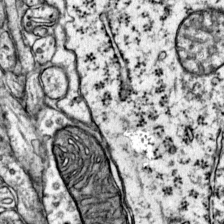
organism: Mouse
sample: Primary visual cortex